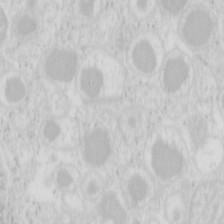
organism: Mouse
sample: Pancreas